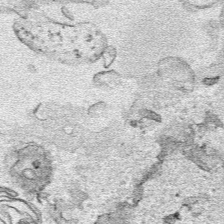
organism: Human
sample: Mitochondria in HCT116 cells